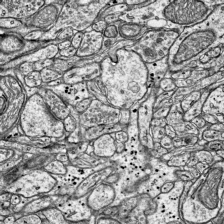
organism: Mouse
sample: Visual Cortex